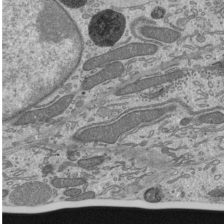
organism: Mouse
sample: Mouse epididymis efferent ductule cilia